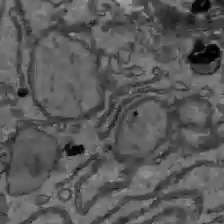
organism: C57BL Mouse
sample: Liver